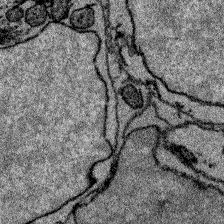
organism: Zebrafish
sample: Larval olfactory bulb